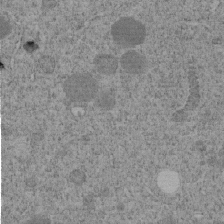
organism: C. elegans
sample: C. elegans embryo early stage